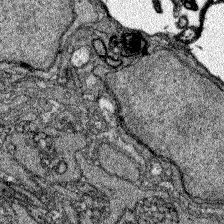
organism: Zebrafish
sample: Larval olfactory bulb